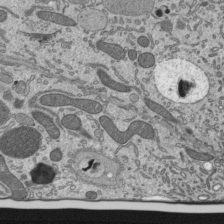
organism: Mouse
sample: Mouse epididymis efferent ductule cilia